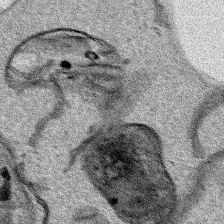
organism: Human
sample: Mitochondria in HCT116 cells